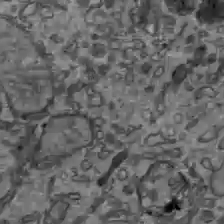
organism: C57BL Mouse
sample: Liver